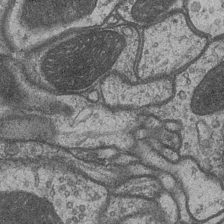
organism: Drosophila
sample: Optic medulla